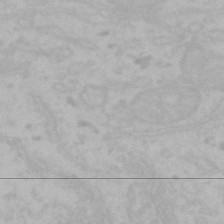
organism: Mouse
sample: Choroid plexus